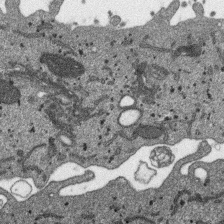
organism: Human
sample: Lung epithelial cells infected with SARS-CoV-2